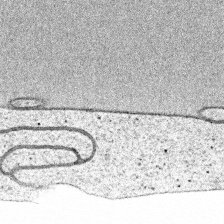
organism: Human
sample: HeLa cells